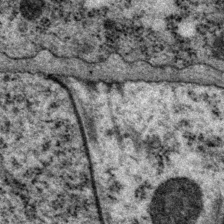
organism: P. pacificus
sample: Pharynx